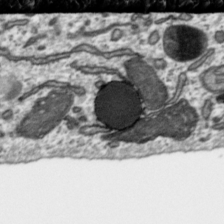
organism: Toxoplasma gondii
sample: Parasites in a vacuole inside a host cell